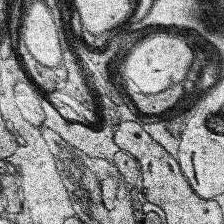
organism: Human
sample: Temporal Lobe